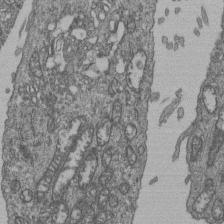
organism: Human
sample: Retinal organoid Rod and Cone cells